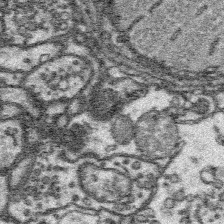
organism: Platynereis dumerilii